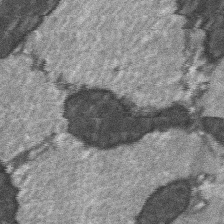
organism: C57BL Mouse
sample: Soleus